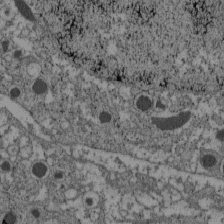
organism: C57BL Mouse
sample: Pancreatic islet